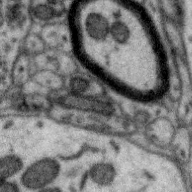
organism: Zebra finch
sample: Brain